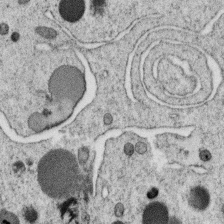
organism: C. elegans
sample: C. elegans oocyte; sperm cells